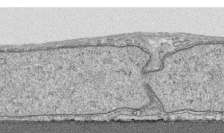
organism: Human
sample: CRL-1474